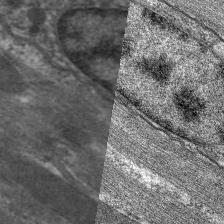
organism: C. elegans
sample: Pharynx